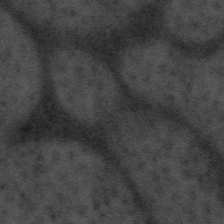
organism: Tuwongella immobilis